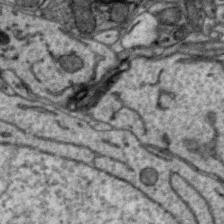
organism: Zebra finch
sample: Brain